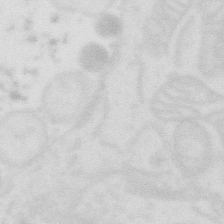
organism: Human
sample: HeLa cells